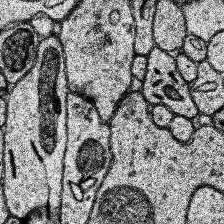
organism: Human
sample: Temporal Lobe